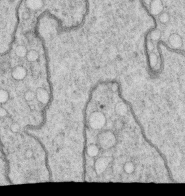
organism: C. elegans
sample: C. elegans oocyte; sperm cells